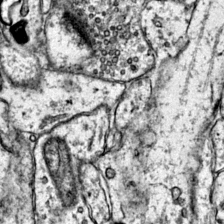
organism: Mouse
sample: Primary visual cortex